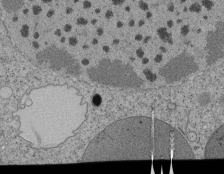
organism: Tetrahymena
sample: Cilia in tetrahymena